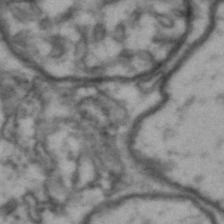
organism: Drosophila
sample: Brain